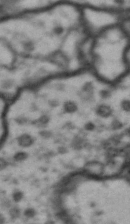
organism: Drosophila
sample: Brain